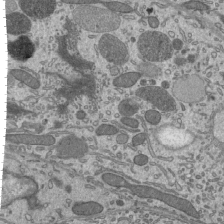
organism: Mouse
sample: Mouse epididymis efferent ductule cilia